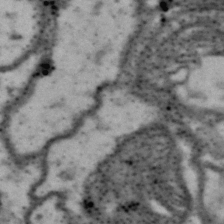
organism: Drosophila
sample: Brain